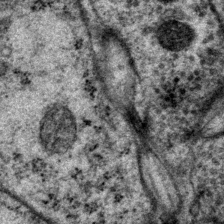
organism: P. pacificus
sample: Pharynx